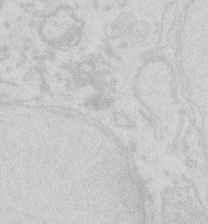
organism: Zebrafish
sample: Macrophage